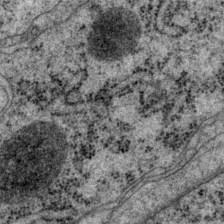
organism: P. pacificus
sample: Pharynx